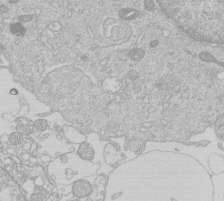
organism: Human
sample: Macrophage cells